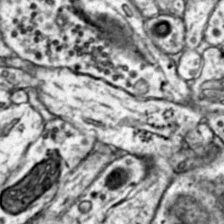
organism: Mouse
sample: Primary visual cortex